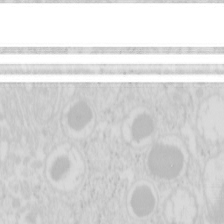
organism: Mouse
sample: Pancreas